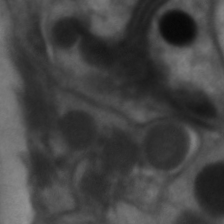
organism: C. elegans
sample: Pharynx